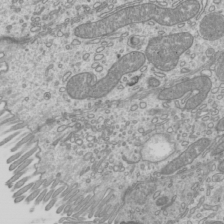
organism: Mouse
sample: Cilia; mouse epididymis